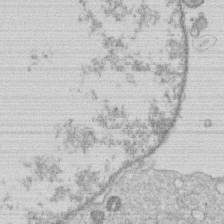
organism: Human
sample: Macrophage cells